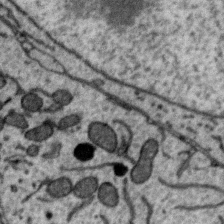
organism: Zebra finch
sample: Brain